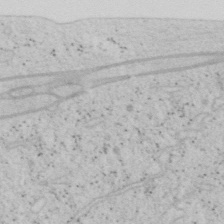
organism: Human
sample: HeLa cells